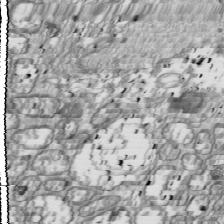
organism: Drosophila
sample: Cell division; meiosis; drosophila spermatocytes